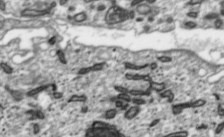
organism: Toxoplasma gondii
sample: Parasites in a vacuole inside a host cell